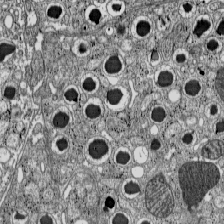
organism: C57BL Mouse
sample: Pancreatic islet